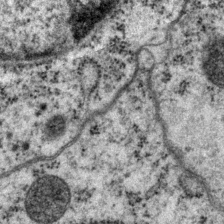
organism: P. pacificus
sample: Pharynx